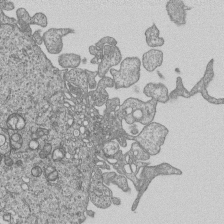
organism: Human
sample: MDA-MB-231 cells